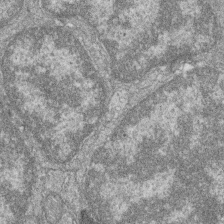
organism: Zebrafish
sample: Cilia; retinal pigment epithelium